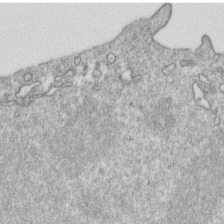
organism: Mouse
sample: Activated OT-1 CD8+ T cells